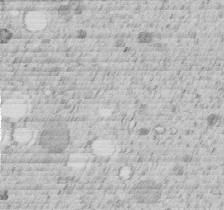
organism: C. elegans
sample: C. elegans embryo early stage